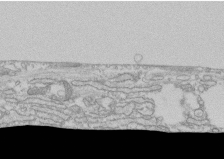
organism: Human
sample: CRL-1474